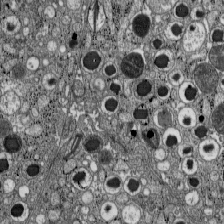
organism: C57BL Mouse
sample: Pancreatic islet